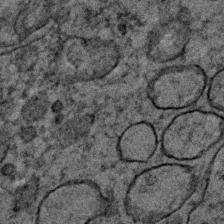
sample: Trachea